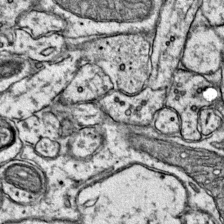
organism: Mouse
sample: Primary visual cortex